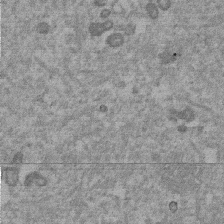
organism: Mouse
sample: Dividing mouse embryo 1 cell stage